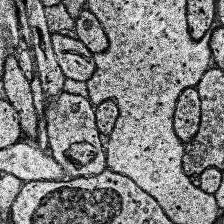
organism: Human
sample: Temporal Lobe